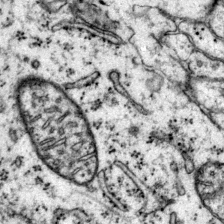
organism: Mouse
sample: Primary visual cortex